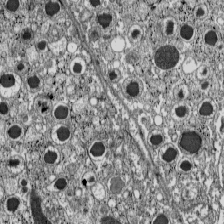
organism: C57BL Mouse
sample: Pancreatic islet